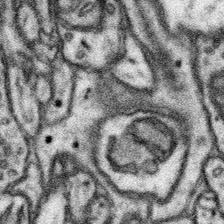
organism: Mouse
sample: Somatosensory cortex neuropil